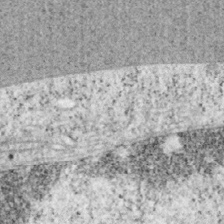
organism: Mouse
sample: OT-I killer T cells with ID8 ovarian cancer cells